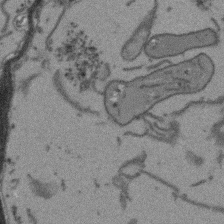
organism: Arabidopsis thaliana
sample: Root tip